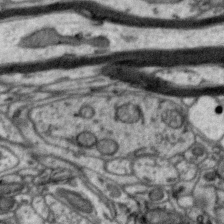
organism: Zebra finch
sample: Brain